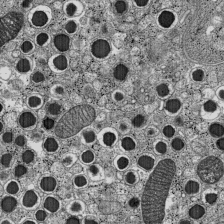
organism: C57BL Mouse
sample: Pancreatic islet